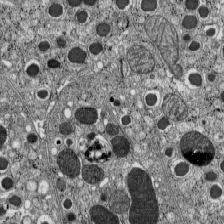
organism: C57BL Mouse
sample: Pancreatic islet